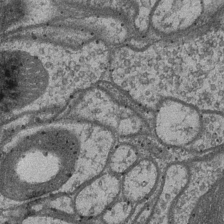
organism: Drosophila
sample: Optic medulla